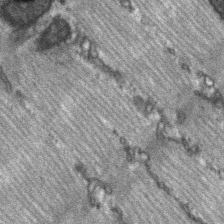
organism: C57BL Mouse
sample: Soleus